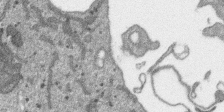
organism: Human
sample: Lung epithelial cells infected with SARS-CoV-2